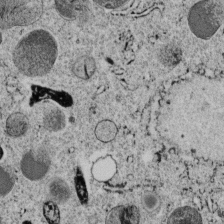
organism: C. elegans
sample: C. elegans embryo early stage